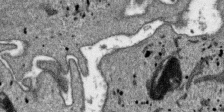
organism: Human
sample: Lung epithelial cells, uninfected (mock) control